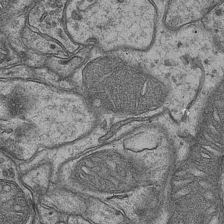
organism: Mouse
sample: CA1 Hippocampus